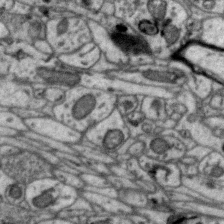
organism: Zebra finch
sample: Brain